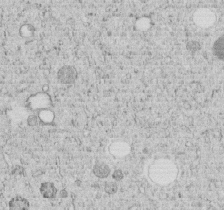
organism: C. elegans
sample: C. elegans embryo early stage